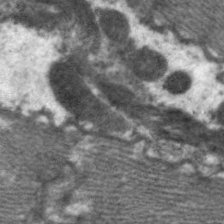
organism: C. elegans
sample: Pharynx